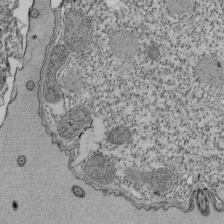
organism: Tetrahymena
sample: Cilia in tetrahymena